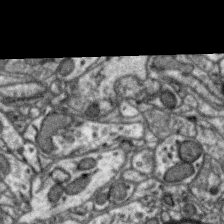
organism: Zebra finch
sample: Brain